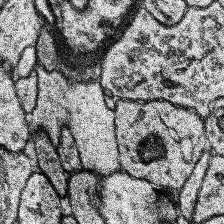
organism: Human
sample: Temporal Lobe